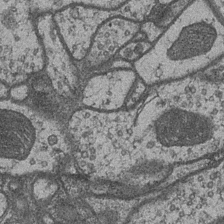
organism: Drosophila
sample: Optic medulla